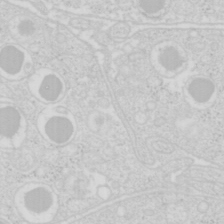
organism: Mouse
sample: Pancreas